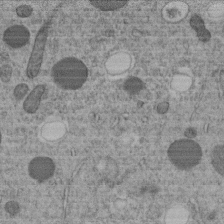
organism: C. elegans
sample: C. elegans embryo early stage